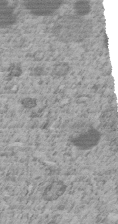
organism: C. elegans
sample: C. elegans embryo early stage